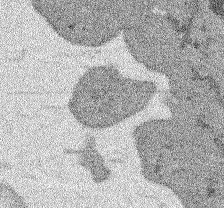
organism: Human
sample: HeLa cells